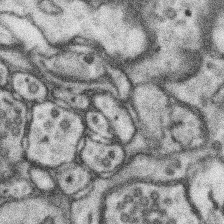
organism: Mouse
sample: Somatosensory cortex neuropil